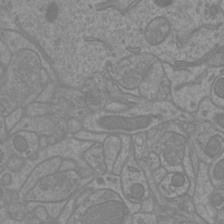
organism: Mouse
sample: Cortical neurons